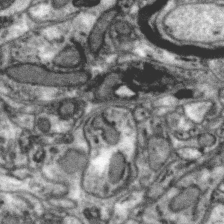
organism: Zebra finch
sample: Brain